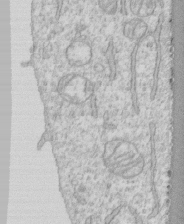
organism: Human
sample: CRL-1474